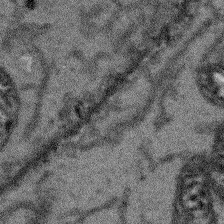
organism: Arabidopsis thaliana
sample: Root tip